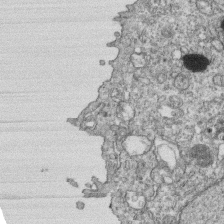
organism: Human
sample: HeLa cell HIV synapse